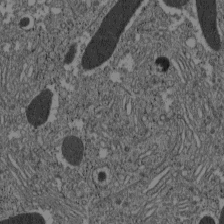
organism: C57BL Mouse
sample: Pancreatic islet